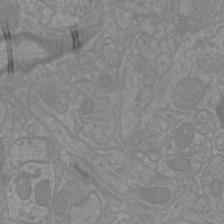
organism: Mouse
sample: Cortical neurons